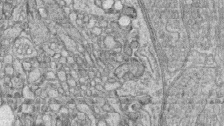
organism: Zebrafish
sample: synaptic ribbons in rod cells and cone cells